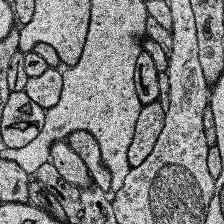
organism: Human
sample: Temporal Lobe